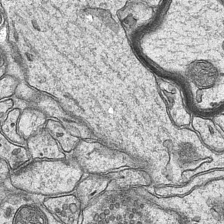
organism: Mouse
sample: CA1 Hippocampus